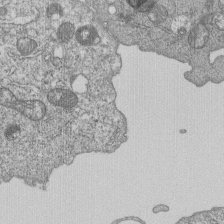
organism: Human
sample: MDA-MB-231 cells